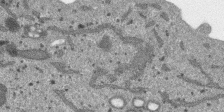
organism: Human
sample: Lung epithelial cells infected with SARS-CoV-2